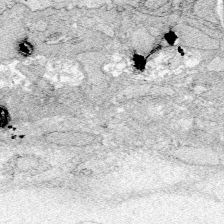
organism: Zebrafish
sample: Whole-Brain